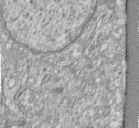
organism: Human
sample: Centriole in fibroblast cells